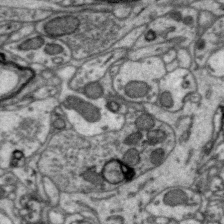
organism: Zebra finch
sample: Brain